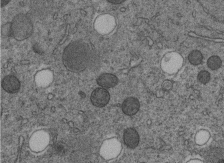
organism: C. elegans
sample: C. elegans embryo early stage